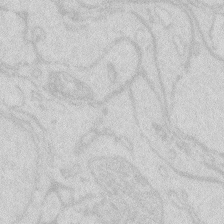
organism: Zebrafish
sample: Macrophage